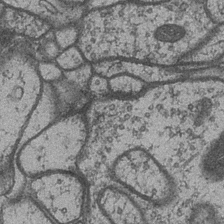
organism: Drosophila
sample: Optic medulla